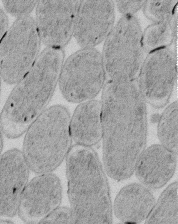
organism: E. coli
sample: Bacterial nucleoid